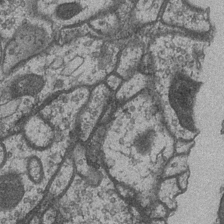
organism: Drosophila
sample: Optic medulla